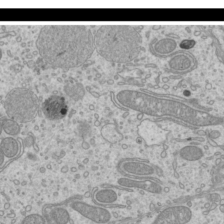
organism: Mouse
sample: Cilia; mouse epididymis